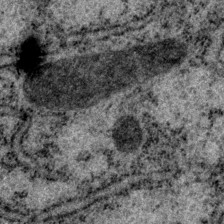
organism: P. pacificus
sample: Pharynx